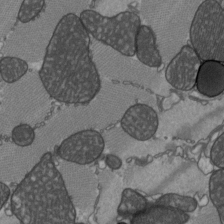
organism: C57BL Mouse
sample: Heart